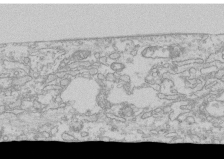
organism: Human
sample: CRL-1474